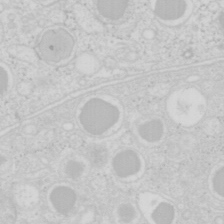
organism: Mouse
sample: Pancreas